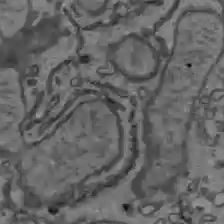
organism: C57BL Mouse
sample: Liver